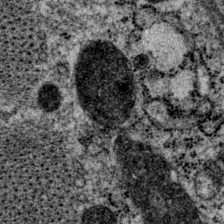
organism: P. pacificus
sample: Pharynx